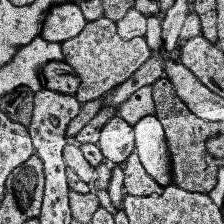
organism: Human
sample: Temporal Lobe